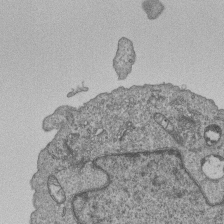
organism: Human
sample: MDA-MB-231 cells